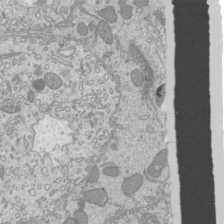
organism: Mouse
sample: Cilia; mouse epididymis